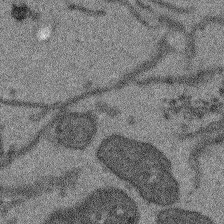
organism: Arabidopsis thaliana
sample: Root tip